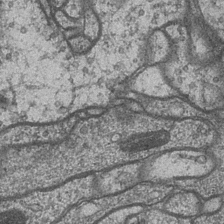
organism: Drosophila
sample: Optic medulla